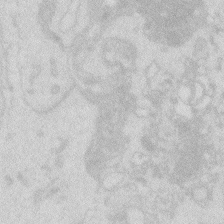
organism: Zebrafish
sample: Macrophage